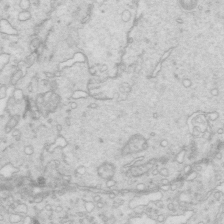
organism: Mouse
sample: Multiciliated cells